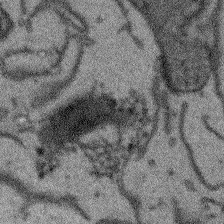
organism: Arabidopsis thaliana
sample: Root tip